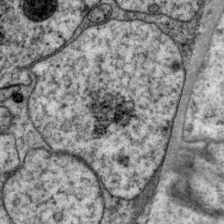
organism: P. pacificus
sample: Pharynx